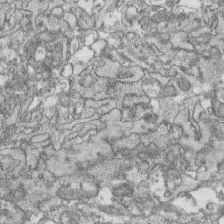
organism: Human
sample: CRL-1474